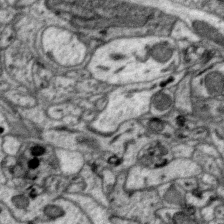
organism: Zebra finch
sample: Brain